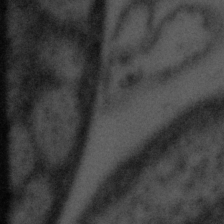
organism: Tuwongella immobilis